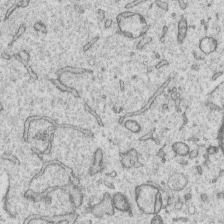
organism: Human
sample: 1205lu cells